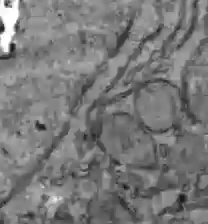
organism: C57BL Mouse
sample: Liver